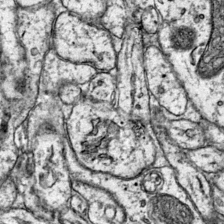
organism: Mouse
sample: Primary visual cortex